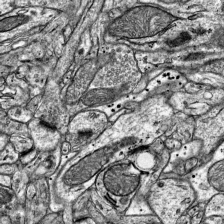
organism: Mouse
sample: Visual Cortex